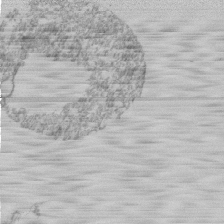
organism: Mouse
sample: Activated Pmel transgenic CD8+ T Cells